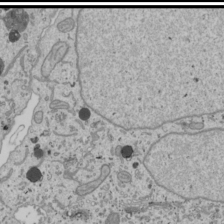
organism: Human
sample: Mitochondria in U2OS cells